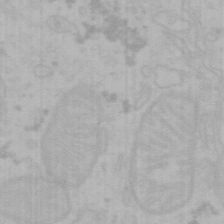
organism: Mouse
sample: Choroid plexus